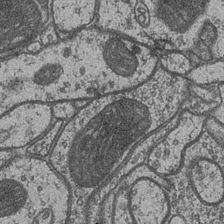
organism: Drosophila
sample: Optic medulla